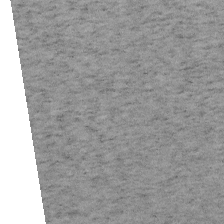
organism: Mouse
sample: OT-I killer T cells with ID8 ovarian cancer cells